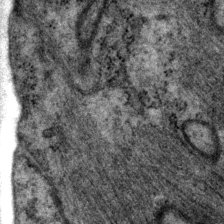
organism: P. pacificus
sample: Pharynx